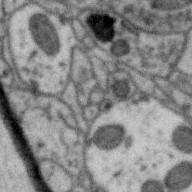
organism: Zebra finch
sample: Brain